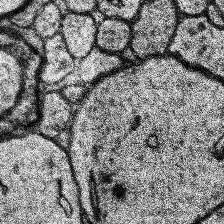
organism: Human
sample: Temporal Lobe